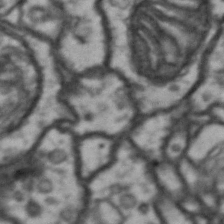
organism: Drosophila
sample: Brain